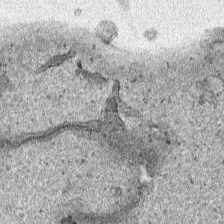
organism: Human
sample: Mitochondria in HCT116 cells